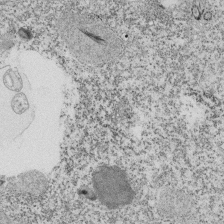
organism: Tetrahymena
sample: Cilia in tetrahymena